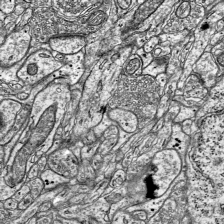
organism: Mouse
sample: Visual Cortex